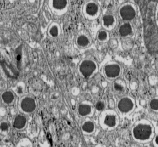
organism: C57BL Mouse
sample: Pancreatic islet